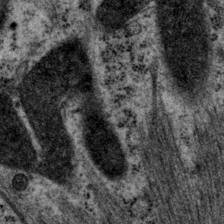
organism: P. pacificus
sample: Pharynx